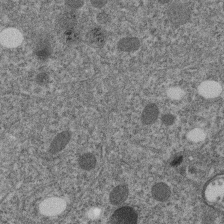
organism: C. elegans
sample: C. elegans embryo early stage